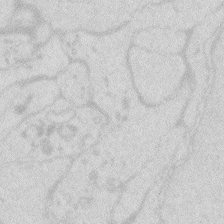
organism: Zebrafish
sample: Macrophage